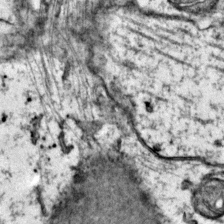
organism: Mouse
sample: Primary visual cortex